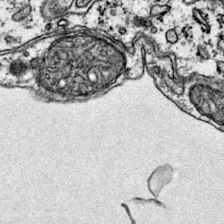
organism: Mouse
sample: Primary visual cortex